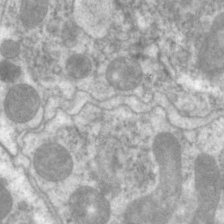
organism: C. elegans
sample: Pharynx